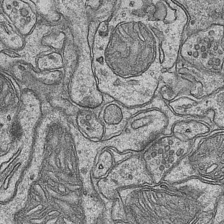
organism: Mouse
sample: CA1 Hippocampus